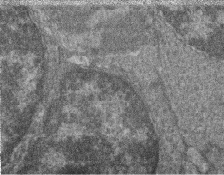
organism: Zebrafish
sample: Cilia; retinal pigment epithelium